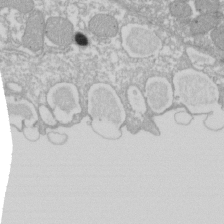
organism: Xenopus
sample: Cilia; centrioles in frog embryo cells